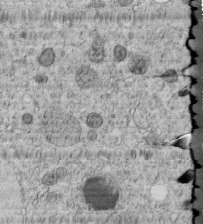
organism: C. elegans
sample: C. elegans embryo early stage